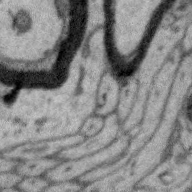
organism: Zebra finch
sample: Brain